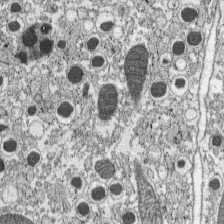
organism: C57BL Mouse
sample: Pancreatic islet